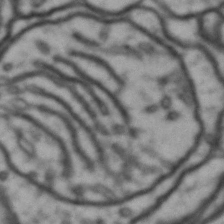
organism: Drosophila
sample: Brain